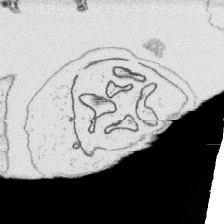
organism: Platynereis dumerilii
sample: Parapodia